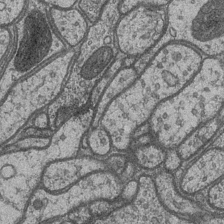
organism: Drosophila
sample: Optic medulla